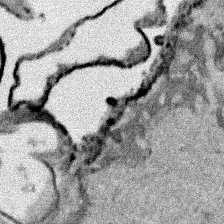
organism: Human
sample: Mitochondria in HCT116 cells